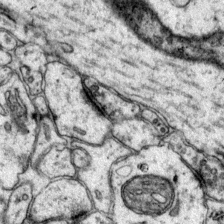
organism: Mouse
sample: Primary visual cortex